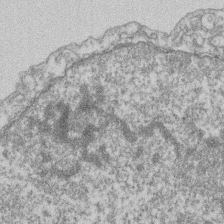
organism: Mouse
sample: T cell stromal cell synapse